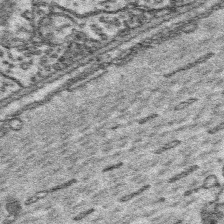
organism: Platynereis dumerilii